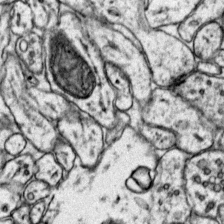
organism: Mouse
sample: Primary visual cortex